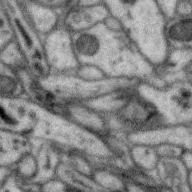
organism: Zebra finch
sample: Brain